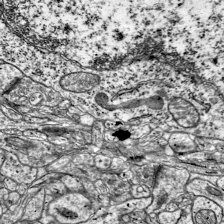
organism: Mouse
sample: Visual Cortex